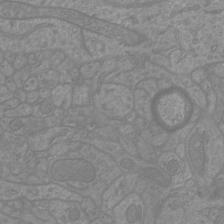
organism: Mouse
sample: Cortical neurons